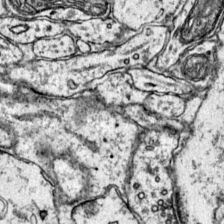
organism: Mouse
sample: Primary visual cortex